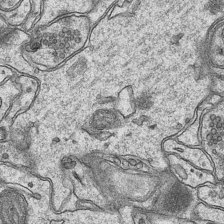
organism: Mouse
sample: CA1 Hippocampus